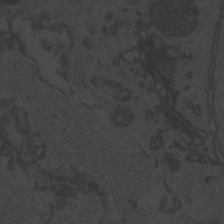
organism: Zebrafish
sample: Macrophage infected with Toxoplasma gondii